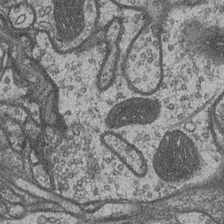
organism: Drosophila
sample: Optic medulla